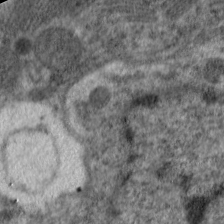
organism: C. elegans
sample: Pharynx